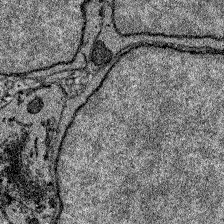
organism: Zebrafish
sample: Larval olfactory bulb